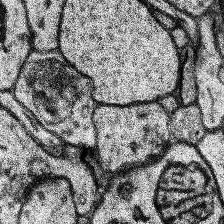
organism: Human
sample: Temporal Lobe